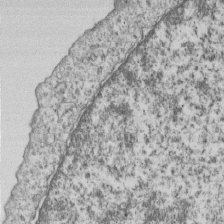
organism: Human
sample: MDA-MB-231 cells